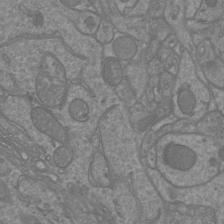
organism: Mouse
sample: Cortical neurons